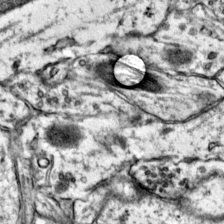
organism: Mouse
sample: Primary visual cortex